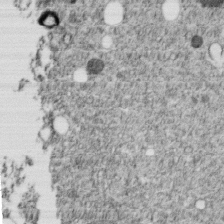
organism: C. elegans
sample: C. elegans embryo early stage